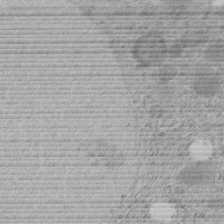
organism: C. elegans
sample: C. elegans embryo early stage